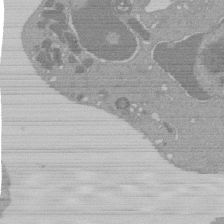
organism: Mouse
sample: Activated Pmel transgenic CD8+ T Cells